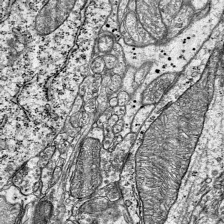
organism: Mouse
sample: Visual Cortex